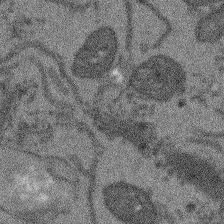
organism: Arabidopsis thaliana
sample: Root tip